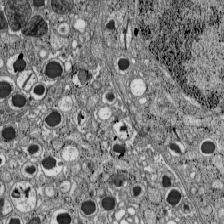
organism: C57BL Mouse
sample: Pancreatic islet